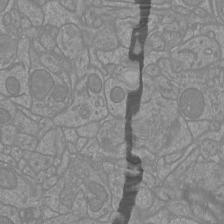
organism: Mouse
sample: Cortical neurons